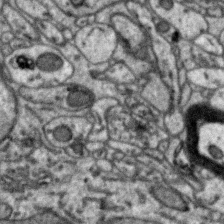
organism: Zebra finch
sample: Brain